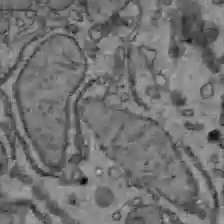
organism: C57BL Mouse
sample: Liver